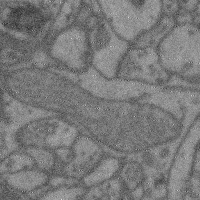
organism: Mouse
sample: Cerebral cortex